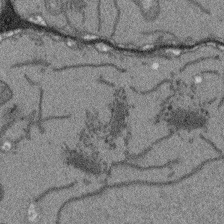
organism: Arabidopsis thaliana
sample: Root tip